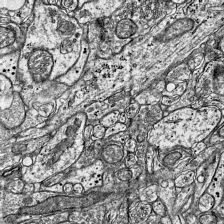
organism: Mouse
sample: Visual Cortex